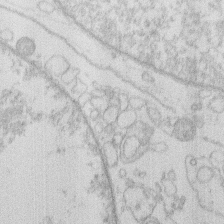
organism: Human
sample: Macrophage cells